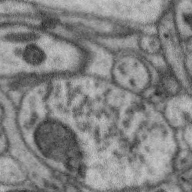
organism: Zebra finch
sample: Brain